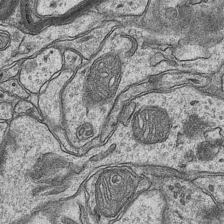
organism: Mouse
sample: CA1 Hippocampus